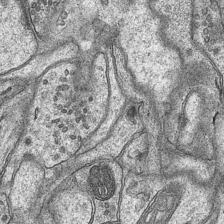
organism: Mouse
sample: CA1 Hippocampus